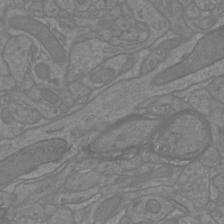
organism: Mouse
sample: Cortical neurons